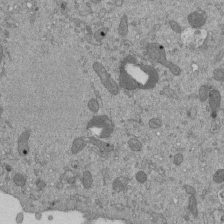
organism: Mouse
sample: ED-1 cell nuclei; centrioles